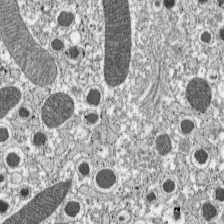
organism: C57BL Mouse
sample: Pancreatic islet